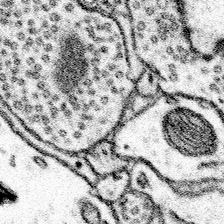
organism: Mouse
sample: Somatosensory cortex neuropil